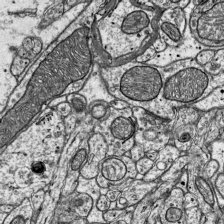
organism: Mouse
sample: Visual Cortex